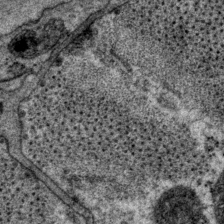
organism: P. pacificus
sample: Pharynx